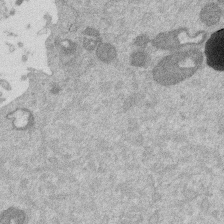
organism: Mouse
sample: Dividing mouse embryo 1 cell stage